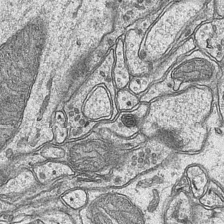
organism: Mouse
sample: CA1 Hippocampus